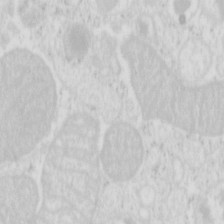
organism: Mouse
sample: Pancreas